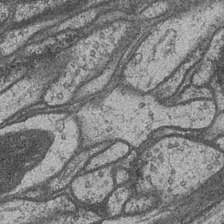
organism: Drosophila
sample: Optic medulla